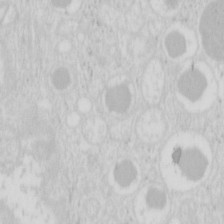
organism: Mouse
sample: Pancreas